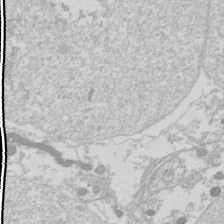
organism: Drosophila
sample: Cell division; meiosis; drosophila spermatocytes